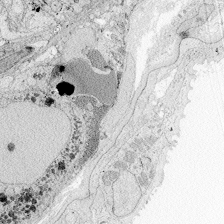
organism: Zebrafish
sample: Whole-Brain